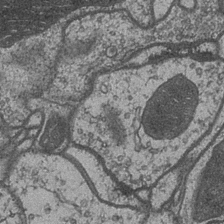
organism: Drosophila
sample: Optic medulla